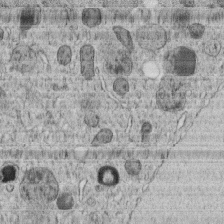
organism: C. elegans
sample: C. elegans embryo early stage